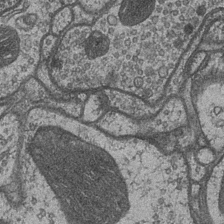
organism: Drosophila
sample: Optic medulla